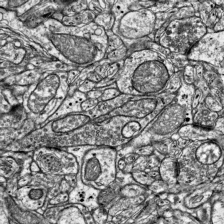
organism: Mouse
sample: Visual Cortex